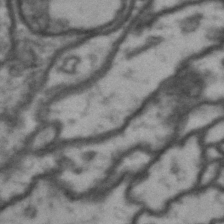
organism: Drosophila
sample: Brain